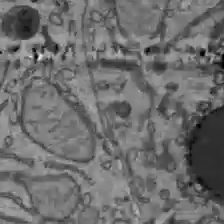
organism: C57BL Mouse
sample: Liver